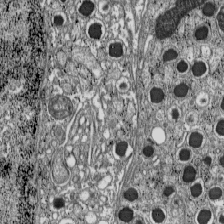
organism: C57BL Mouse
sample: Pancreatic islet